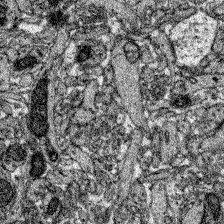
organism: Zebrafish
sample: Larval olfactory bulb